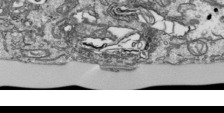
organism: Human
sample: Mitochondria in HCT116 cells